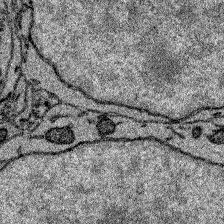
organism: Zebrafish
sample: Larval olfactory bulb